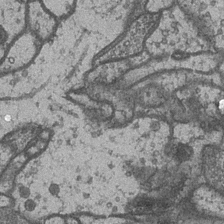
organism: Drosophila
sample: Optic medulla